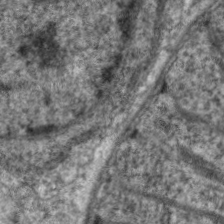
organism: C. elegans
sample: Pharynx